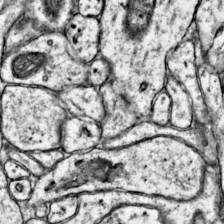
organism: Mouse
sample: Primary visual cortex